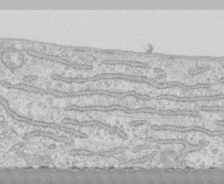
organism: Human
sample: CRL-1474